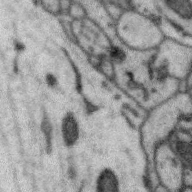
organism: Zebra finch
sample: Brain